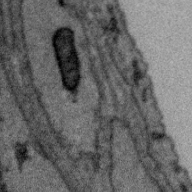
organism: Zebra finch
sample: Brain